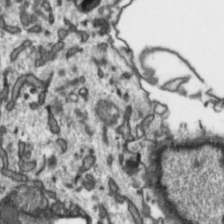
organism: Toxoplasma gondii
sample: Parasites in a vacuole inside a host cell